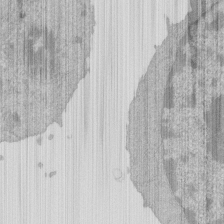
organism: Mouse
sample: Activated Pmel transgenic CD8+ T Cells